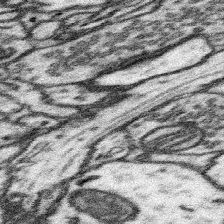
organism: Mouse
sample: Somatosensory cortex neuropil